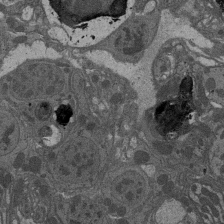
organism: Drosophila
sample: Antenna